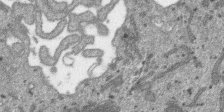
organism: Human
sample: Lung epithelial cells infected with SARS-CoV-2